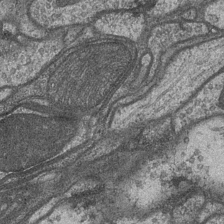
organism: Drosophila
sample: Optic medulla